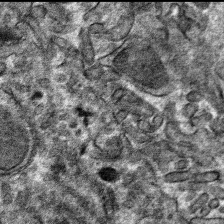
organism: Mouse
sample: Mouse hepatocytes